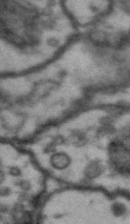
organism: Drosophila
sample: Brain